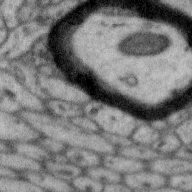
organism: Zebra finch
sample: Brain